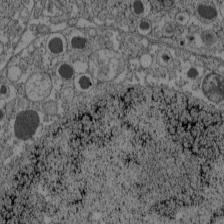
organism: C57BL Mouse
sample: Pancreatic islet